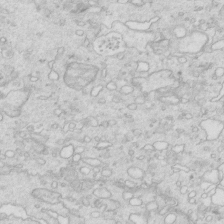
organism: Mouse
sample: Multiciliated cells